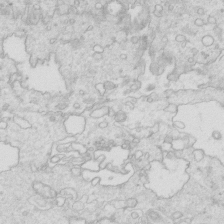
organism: Mouse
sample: Multiciliated cells